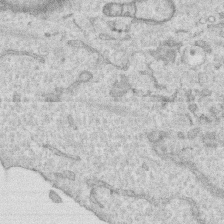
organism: Human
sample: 1205lu cells